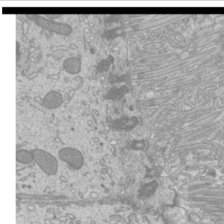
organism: Mouse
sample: Cilia; mouse epididymis